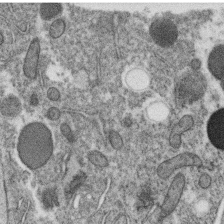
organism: C. elegans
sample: C. elegans oocyte; sperm cells